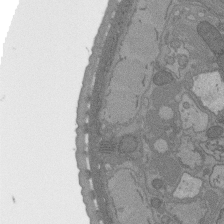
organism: C. elegans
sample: AFD neurons C. elegans